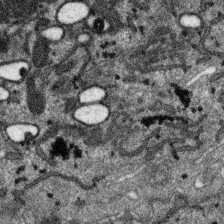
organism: Human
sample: Lung epithelial cells infected with SARS-CoV-2